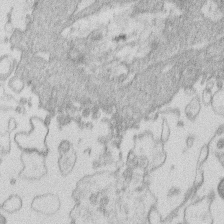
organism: Human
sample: Macrophage cells